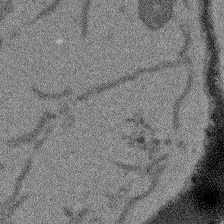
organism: Arabidopsis thaliana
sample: Root tip